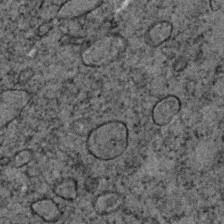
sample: Trachea